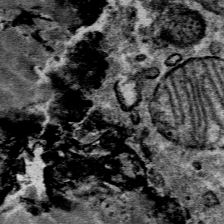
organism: Mouse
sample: Mouse Salivary gland